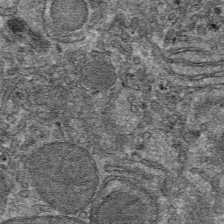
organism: Mouse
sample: Mouse hepatocytes